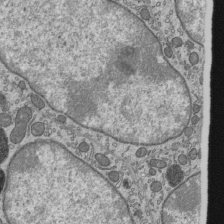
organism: Mouse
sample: Mouse epididymis efferent ductule cilia